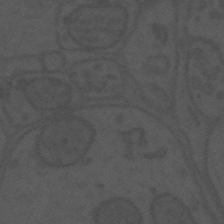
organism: Mouse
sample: Suprachiasmatic nucleus